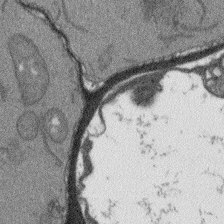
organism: Arabidopsis thaliana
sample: Root tip